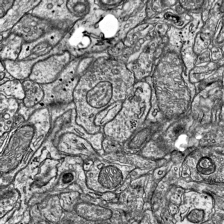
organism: Mouse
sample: Visual Cortex